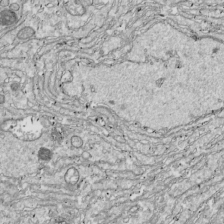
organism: Drosophila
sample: Cell division; meiosis; drosophila spermatocytes